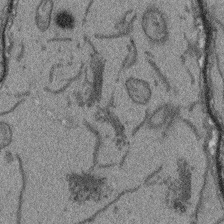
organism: Arabidopsis thaliana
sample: Root tip